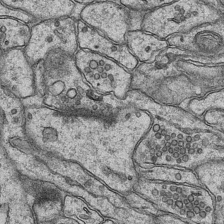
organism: Mouse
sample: CA1 Hippocampus